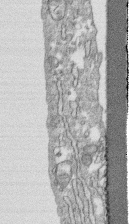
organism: Human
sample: CRL-1474